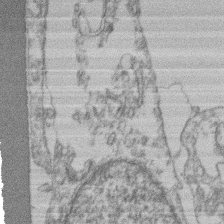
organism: Mouse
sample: T cell stromal cell synapse